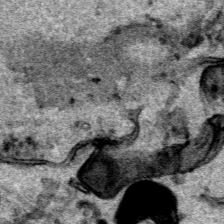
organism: Human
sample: Mitochondria in HCT116 cells